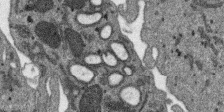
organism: Human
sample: Lung epithelial cells infected with SARS-CoV-2